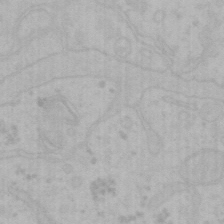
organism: Mouse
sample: Choroid plexus